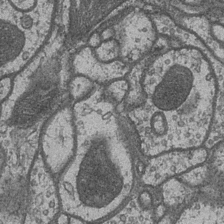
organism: Drosophila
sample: Optic medulla